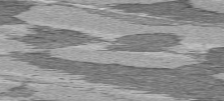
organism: C57BL Mouse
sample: Heart